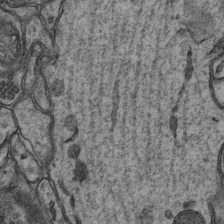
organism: Mouse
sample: CA1 Hippocampus